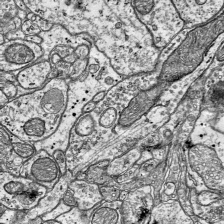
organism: Mouse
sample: Visual Cortex